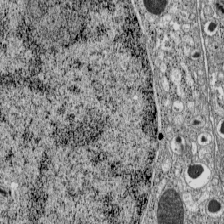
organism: C57BL Mouse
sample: Pancreatic islet